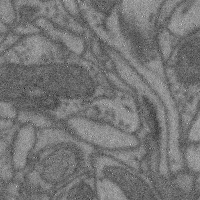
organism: Mouse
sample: Cerebral cortex